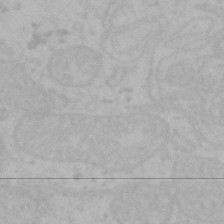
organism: Mouse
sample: Choroid plexus